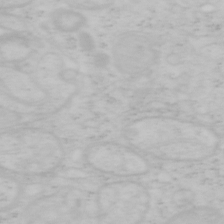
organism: Mouse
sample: OT-I killer T cells with ID8 ovarian cancer cells